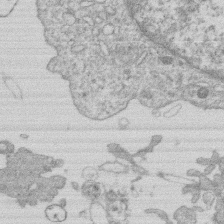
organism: Human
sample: Macrophage cells